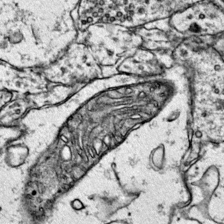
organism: Mouse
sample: Primary visual cortex